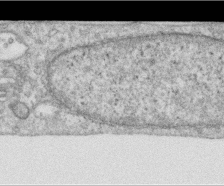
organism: Human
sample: Centriole in RPE cells